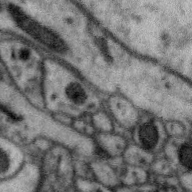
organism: Zebra finch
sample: Brain